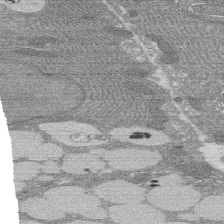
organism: Rat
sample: Salivary granule